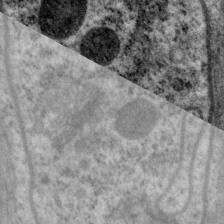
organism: P. pacificus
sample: Pharynx